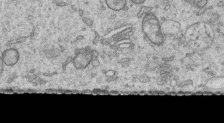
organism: Human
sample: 1205lu cells